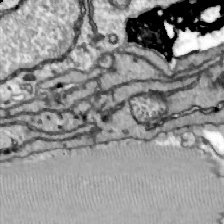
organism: Zebrafish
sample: Actinotrichia fibers